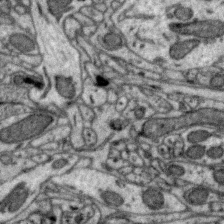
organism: Zebra finch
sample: Brain